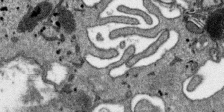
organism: Human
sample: Lung epithelial cells, uninfected (mock) control